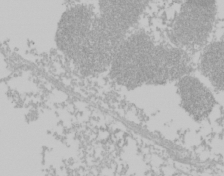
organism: Mouse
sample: Cancer cell death in ED-1 cells